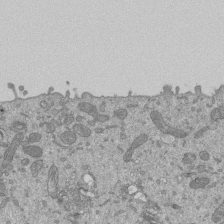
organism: Mouse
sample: ED-1 cell nuclei; centrioles